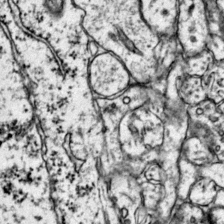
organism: Mouse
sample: Primary visual cortex